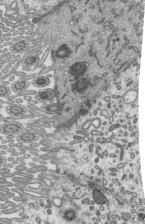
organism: Mouse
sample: Mouse epididymis efferent ductule cilia